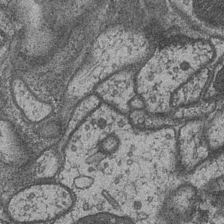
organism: Drosophila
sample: Optic medulla